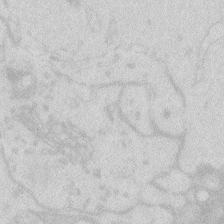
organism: Zebrafish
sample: Macrophage